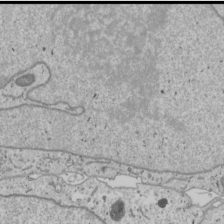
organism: Human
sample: Mitochondria in U2OS cells